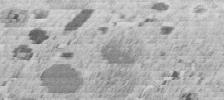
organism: C. elegans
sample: C. elegans embryo early stage